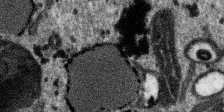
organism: Human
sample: Lung epithelial cells infected with SARS-CoV-2